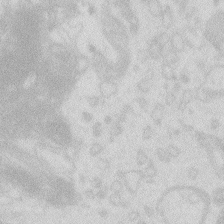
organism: Zebrafish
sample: Macrophage